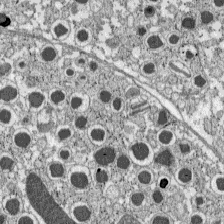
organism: C57BL Mouse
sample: Pancreatic islet